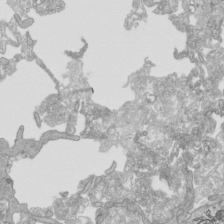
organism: Human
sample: Mitochondria in HCT116 cells